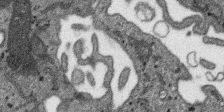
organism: Human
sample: Lung epithelial cells infected with SARS-CoV-2